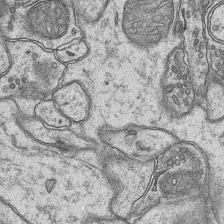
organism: Mouse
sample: CA1 Hippocampus